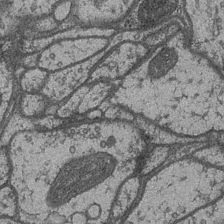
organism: Drosophila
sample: Optic medulla